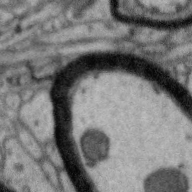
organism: Zebra finch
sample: Brain